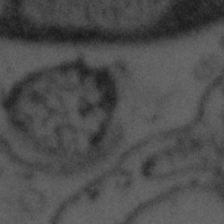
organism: Tuwongella immobilis